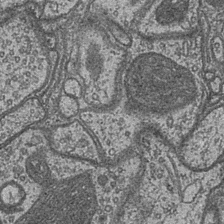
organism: Drosophila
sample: Optic medulla